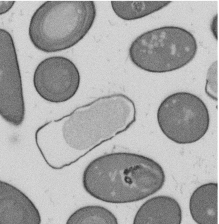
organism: B. subtilis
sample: Bacterial spore